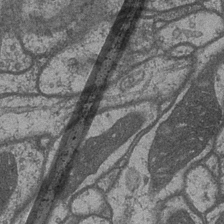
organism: Drosophila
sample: Optic medulla